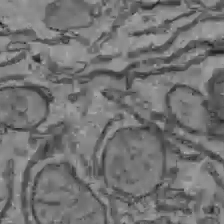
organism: C57BL Mouse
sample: Liver